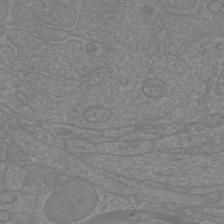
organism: Mouse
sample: Cortical neurons